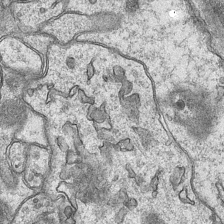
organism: Mouse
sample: CA1 Hippocampus